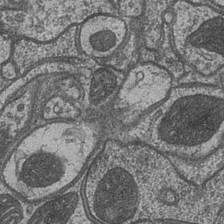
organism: Drosophila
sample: Optic medulla